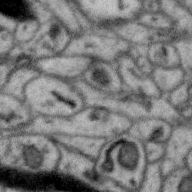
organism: Zebra finch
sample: Brain